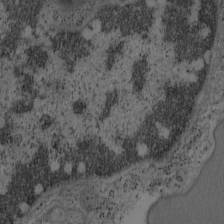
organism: Mouse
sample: OT-I killer T cells with ID8 ovarian cancer cells